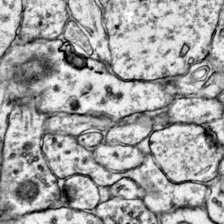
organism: Mouse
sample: Primary visual cortex